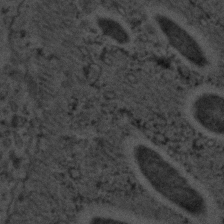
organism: C. elegans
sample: C. elegans embryo